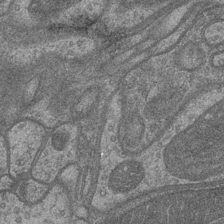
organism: Drosophila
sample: Optic medulla